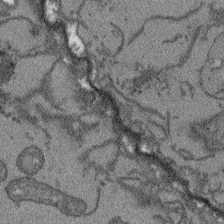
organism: Arabidopsis thaliana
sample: Root tip